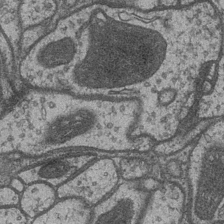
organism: Drosophila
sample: Optic medulla